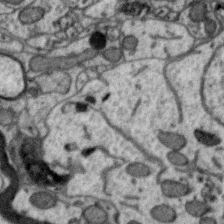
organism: Zebra finch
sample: Brain